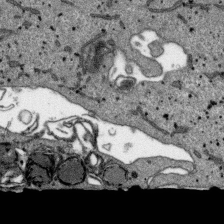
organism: Human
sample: Lung epithelial cells, uninfected (mock) control